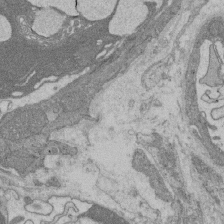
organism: Rat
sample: Salivary granule